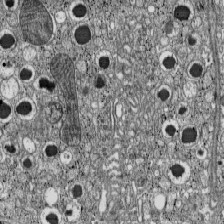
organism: C57BL Mouse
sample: Pancreatic islet